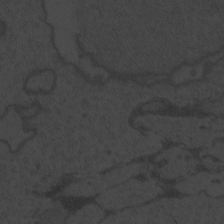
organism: Zebrafish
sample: Macrophage infected with Toxoplasma gondii